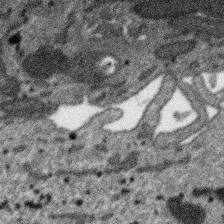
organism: Human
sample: Lung epithelial cells infected with SARS-CoV-2